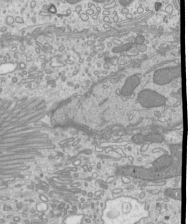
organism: Mouse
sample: Cilia; mouse epididymis